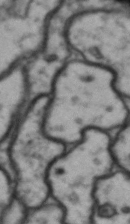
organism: Drosophila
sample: Brain